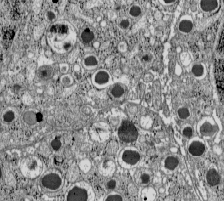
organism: C57BL Mouse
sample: Pancreatic islet